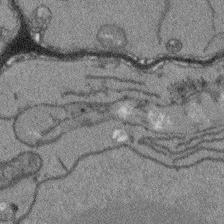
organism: Arabidopsis thaliana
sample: Root tip